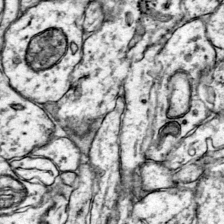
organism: Mouse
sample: Primary visual cortex